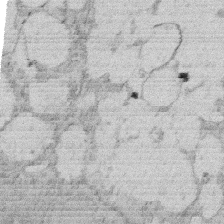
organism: Rat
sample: Salivary granule